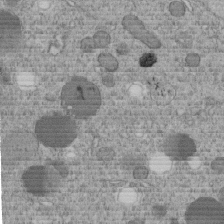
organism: C. elegans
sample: C. elegans embryo early stage